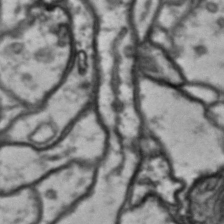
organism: Drosophila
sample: Brain